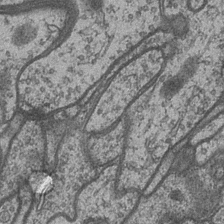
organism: Drosophila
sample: Optic medulla